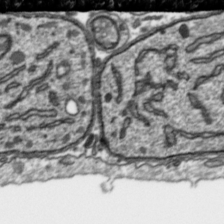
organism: Toxoplasma gondii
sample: Parasites in a vacuole inside a host cell